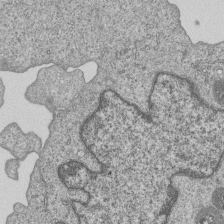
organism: Human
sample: MDA-MB-231 cells